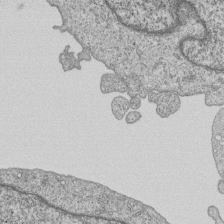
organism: Human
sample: MDA-MB-231 cells